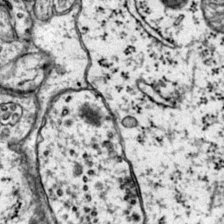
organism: Mouse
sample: Primary visual cortex